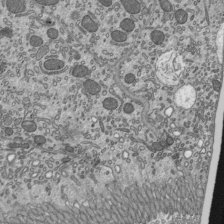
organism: Mouse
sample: Mouse epididymis efferent ductule cilia